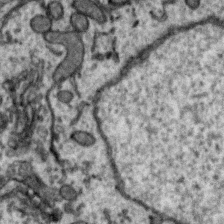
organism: Zebra finch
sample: Brain